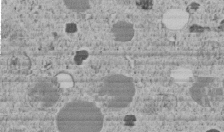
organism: C. elegans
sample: C. elegans embryo early stage